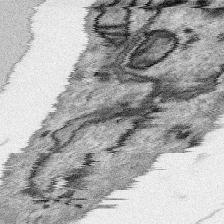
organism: Human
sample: HeLa cells